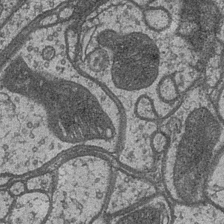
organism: Drosophila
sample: Optic medulla